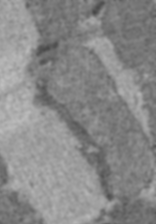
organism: C57BL Mouse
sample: Heart